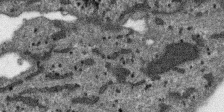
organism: Human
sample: Lung epithelial cells infected with SARS-CoV-2